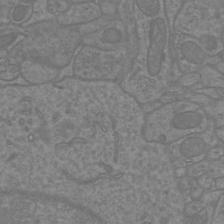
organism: Mouse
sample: Cortical neurons